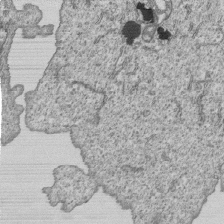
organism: Human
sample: MDA-MB-231 cells